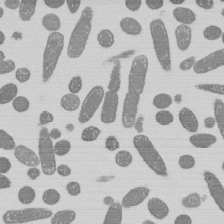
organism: E. coli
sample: Bacterial nucleoid